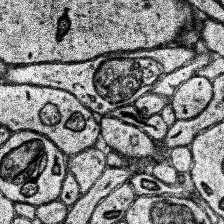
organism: Human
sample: Temporal Lobe